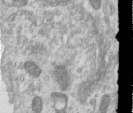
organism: Human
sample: Centriole in RPE cells